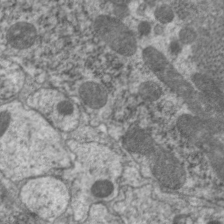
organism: C. elegans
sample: Pharynx